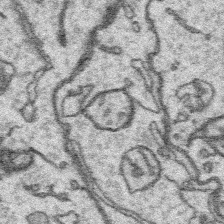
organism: Platynereis dumerilii